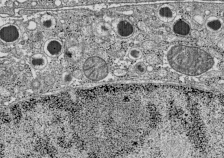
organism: C57BL Mouse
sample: Pancreatic islet